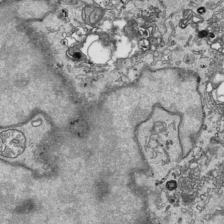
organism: Human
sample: Mitochondria in HCT116 cells